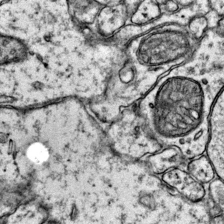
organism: Mouse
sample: Primary visual cortex